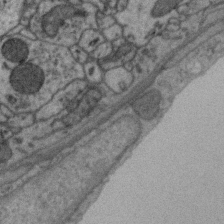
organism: Zebra finch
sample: Brain